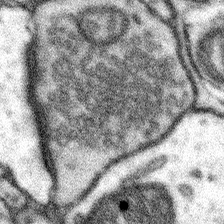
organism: Mouse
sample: Somatosensory cortex neuropil